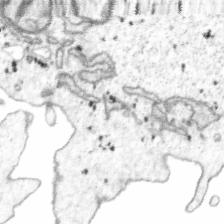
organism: Human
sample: HeLa cells